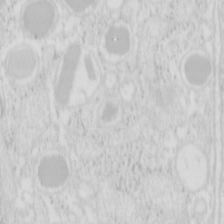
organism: Mouse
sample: Pancreas